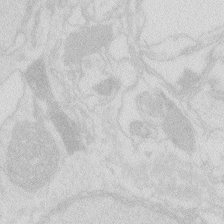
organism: Zebrafish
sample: Macrophage